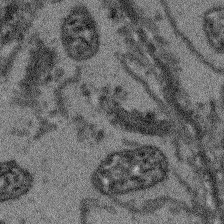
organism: Arabidopsis thaliana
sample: Root tip